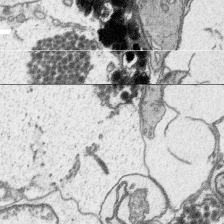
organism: Platynereis dumerilii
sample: Parapodia